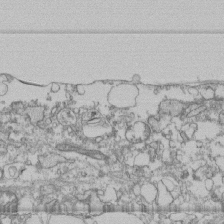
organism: Human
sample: Fibroblast cells